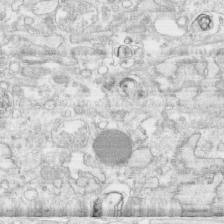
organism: Human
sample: CRL-1474